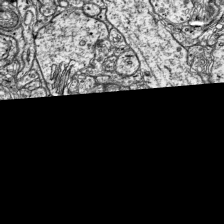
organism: Mouse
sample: Visual Cortex